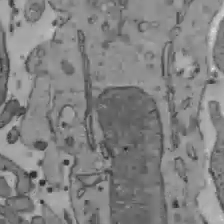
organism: C57BL Mouse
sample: Liver